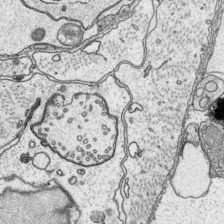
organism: Platynereis dumerilii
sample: Parapodia